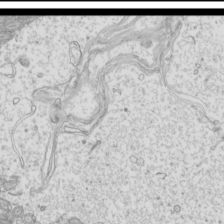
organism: Mouse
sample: Cilia; mouse epididymis